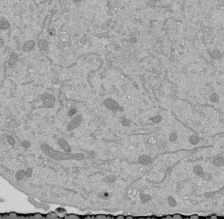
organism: Mouse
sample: ED-1 cell nuclei; centrioles